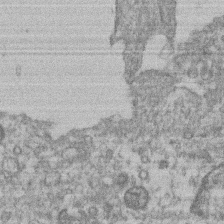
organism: Mouse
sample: T cell stromal cell synapse